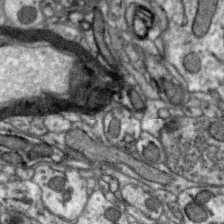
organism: Zebra finch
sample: Brain